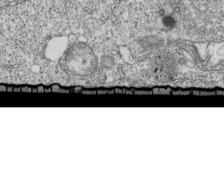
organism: Human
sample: HeLa cell HIV synapse